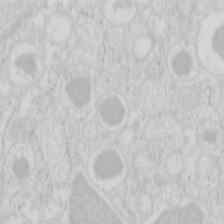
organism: Mouse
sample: Pancreas